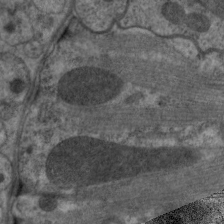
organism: C. elegans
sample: Pharynx